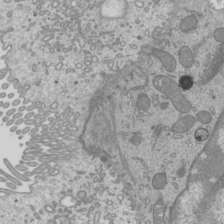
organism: Mouse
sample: Cilia; mouse epididymis